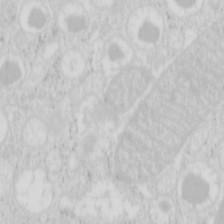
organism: Mouse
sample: Pancreas